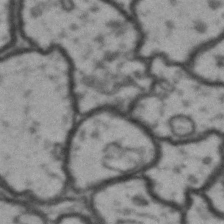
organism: Drosophila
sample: Brain